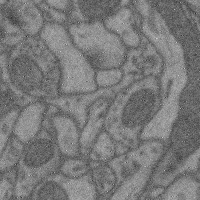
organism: Mouse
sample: Cerebral cortex